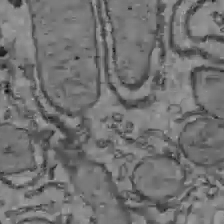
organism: C57BL Mouse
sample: Liver